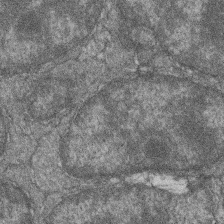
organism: Zebrafish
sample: Cilia; retinal pigment epithelium